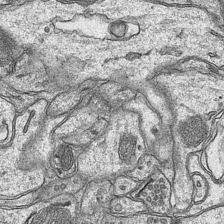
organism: Mouse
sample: CA1 Hippocampus